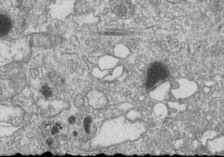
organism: Human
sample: HeLa cell HIV synapse